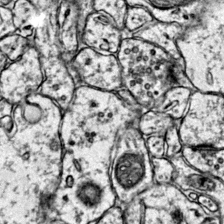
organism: Mouse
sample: Primary visual cortex